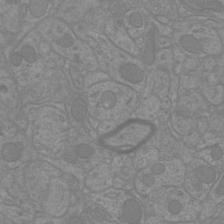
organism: Mouse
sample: Cortical neurons